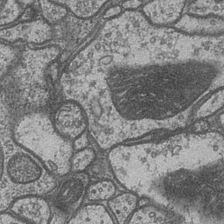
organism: Drosophila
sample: Optic medulla